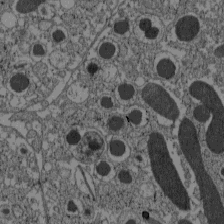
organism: C57BL Mouse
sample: Pancreatic islet